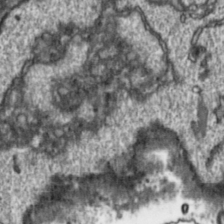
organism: Toxoplasma gondii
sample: Parasites in a vacuole inside a host cell